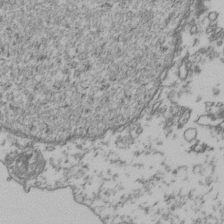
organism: Human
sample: Activated Jurkat CD4+ T cells